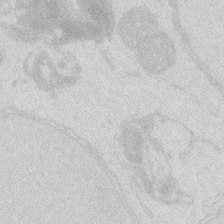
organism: Zebrafish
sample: Macrophage